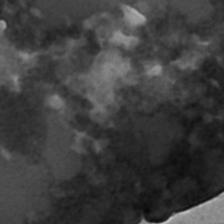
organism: C. elegans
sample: C. elegans embryo